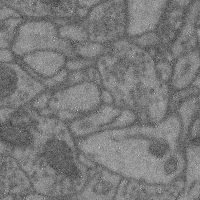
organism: Mouse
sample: Cerebral cortex